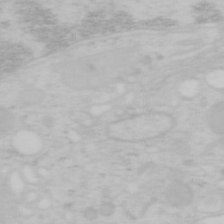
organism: Mouse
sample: OT-I killer T cells with ID8 ovarian cancer cells